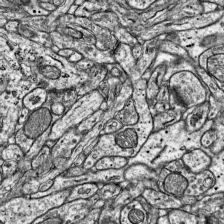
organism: Mouse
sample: Visual Cortex